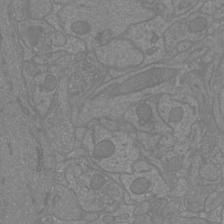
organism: Mouse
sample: Cortical neurons